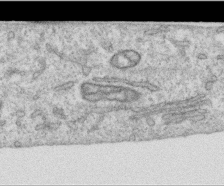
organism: Human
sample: Centriole in RPE cells